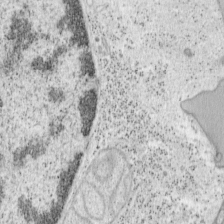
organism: Mouse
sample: OT-I killer T cells with ID8 ovarian cancer cells